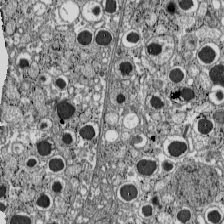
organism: C57BL Mouse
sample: Pancreatic islet